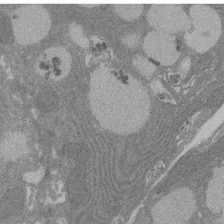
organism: Rat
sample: Salivary granule